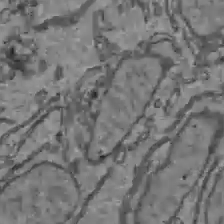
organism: C57BL Mouse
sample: Liver